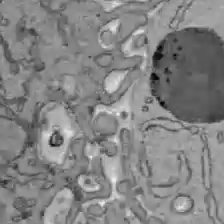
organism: C57BL Mouse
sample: Liver